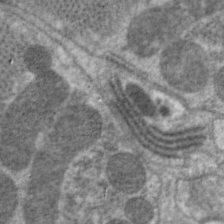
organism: C. elegans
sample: Pharynx